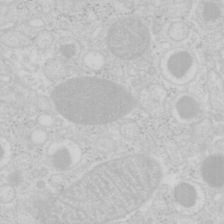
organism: Mouse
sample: Pancreas